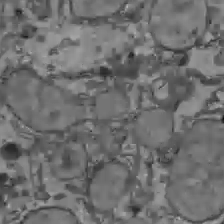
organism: C57BL Mouse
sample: Liver